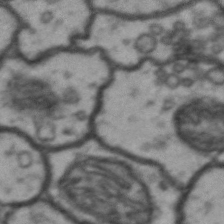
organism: Drosophila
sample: Brain